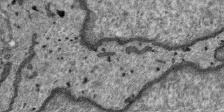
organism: Human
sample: Lung epithelial cells, uninfected (mock) control